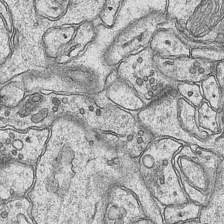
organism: Mouse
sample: CA1 Hippocampus